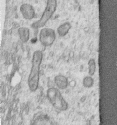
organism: Human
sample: Centriole in RPE cells